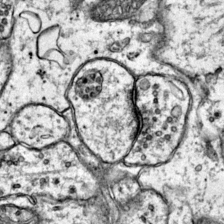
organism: Mouse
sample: Primary visual cortex